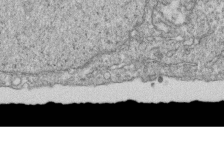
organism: Human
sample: HeLa cell HIV synapse